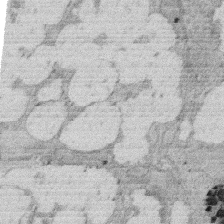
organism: Rat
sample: Salivary granule